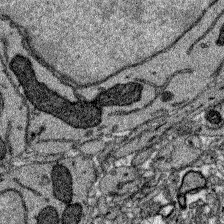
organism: Zebrafish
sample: Larval olfactory bulb